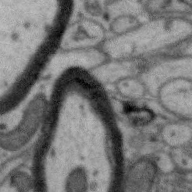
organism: Zebra finch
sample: Brain